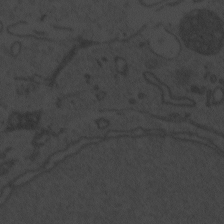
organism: Zebrafish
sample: Macrophage infected with Toxoplasma gondii